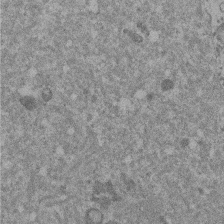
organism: Mouse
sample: Dividing mouse embryo 1 cell stage